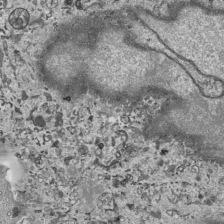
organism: Human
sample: Mitochondria in HCT116 cells